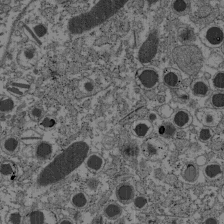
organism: C57BL Mouse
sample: Pancreatic islet